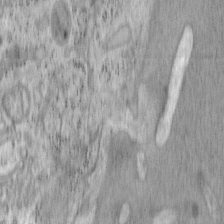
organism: Human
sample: HeLa cells